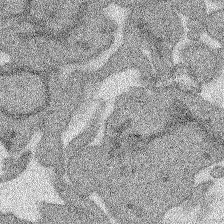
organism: Human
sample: HeLa cells